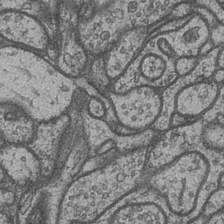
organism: Drosophila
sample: Optic medulla